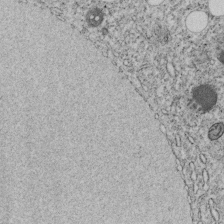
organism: C. elegans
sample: C. elegans embryo early stage